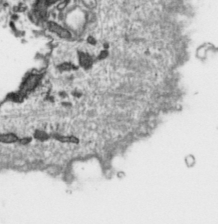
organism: Toxoplasma gondii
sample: Parasites in a vacuole inside a host cell